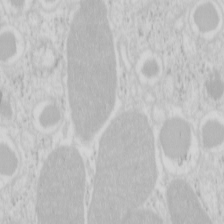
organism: Mouse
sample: Pancreas